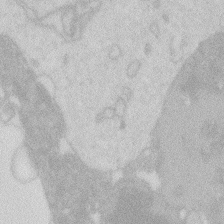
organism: Zebrafish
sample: Macrophage